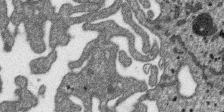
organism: Human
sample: Lung epithelial cells infected with SARS-CoV-2